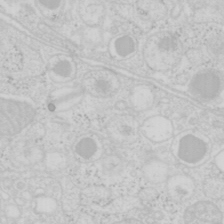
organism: Mouse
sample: Pancreas